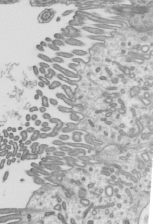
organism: Mouse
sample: Mouse epididymis efferent ductule cilia